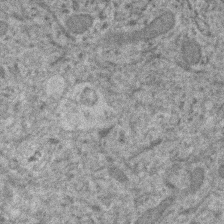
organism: Human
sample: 1205lu cells